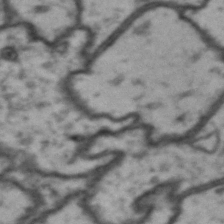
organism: Drosophila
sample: Brain